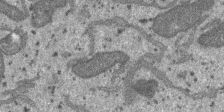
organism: Human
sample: Lung epithelial cells infected with SARS-CoV-2